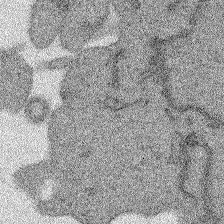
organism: Human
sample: HeLa cells